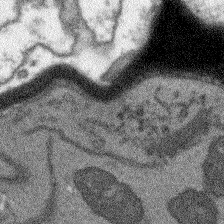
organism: Arabidopsis thaliana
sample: Root tip